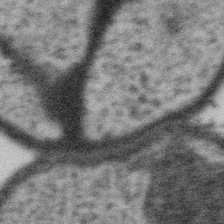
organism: Gemmata obscuriglobus